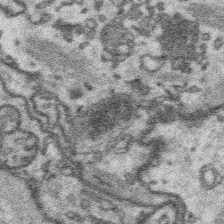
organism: Platynereis dumerilii